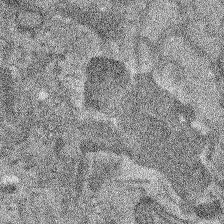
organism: Human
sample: HeLa cells